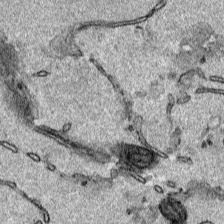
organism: Human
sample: Mitochondria in HCT116 cells